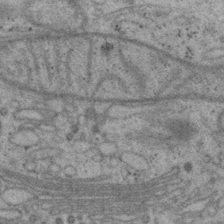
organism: Human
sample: HeLa cells